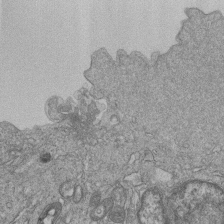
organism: Human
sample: MDA-MB-231 cells